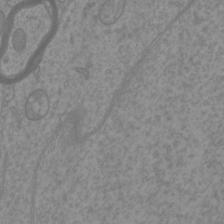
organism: Mouse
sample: Cortical neurons